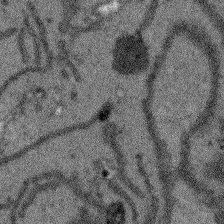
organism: Arabidopsis thaliana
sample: Root tip